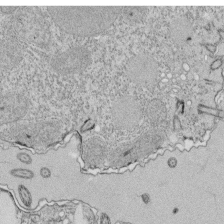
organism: Tetrahymena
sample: Cilia in tetrahymena